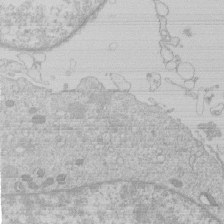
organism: Human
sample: Macrophage cells